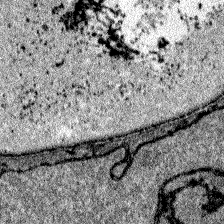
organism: Zebrafish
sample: Larval olfactory bulb